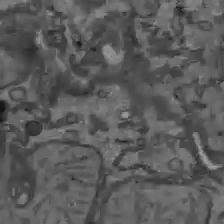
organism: C57BL Mouse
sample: Liver